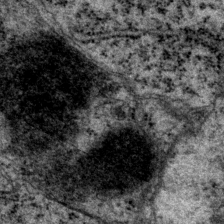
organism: P. pacificus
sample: Pharynx